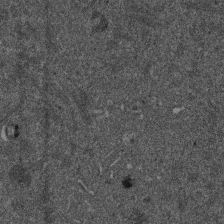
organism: Mouse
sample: Dividing mouse embryo 1 cell stage